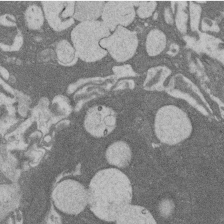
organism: Rat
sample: Salivary granule